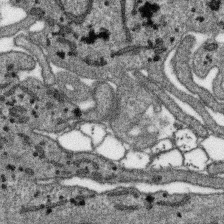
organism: Human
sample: Lung epithelial cells infected with SARS-CoV-2